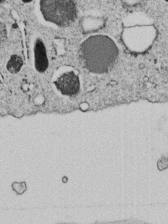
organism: C. elegans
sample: C. elegans embryo early stage